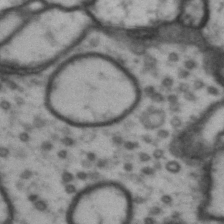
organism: Drosophila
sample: Brain